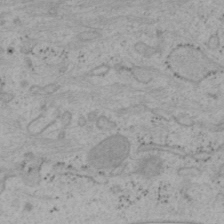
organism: Human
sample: HeLa cells